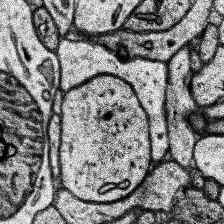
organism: Human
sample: Temporal Lobe